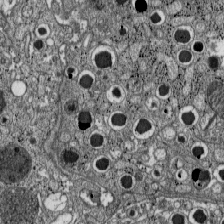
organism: C57BL Mouse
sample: Pancreatic islet